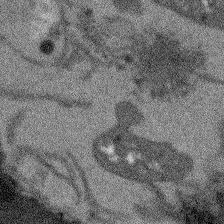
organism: Arabidopsis thaliana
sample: Root tip